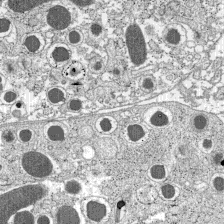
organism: C57BL Mouse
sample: Pancreatic islet